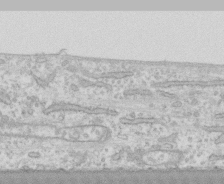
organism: Human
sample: CRL-1474